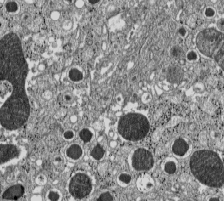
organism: C57BL Mouse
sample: Pancreatic islet